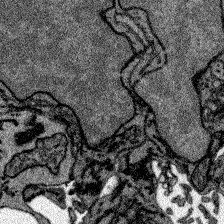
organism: Zebrafish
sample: Larval olfactory bulb